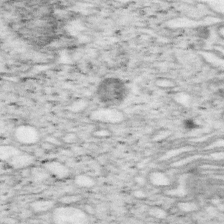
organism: Mouse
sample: OT-I killer T cells with ID8 ovarian cancer cells